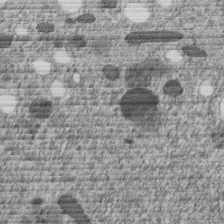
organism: C. elegans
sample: C. elegans embryo early stage